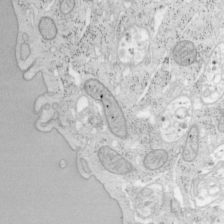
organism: Mouse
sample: OT-I killer T cells with ID8 ovarian cancer cells